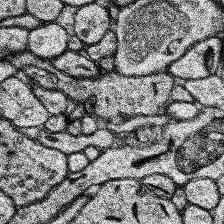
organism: Human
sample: Temporal Lobe